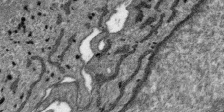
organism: Human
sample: Lung epithelial cells, uninfected (mock) control